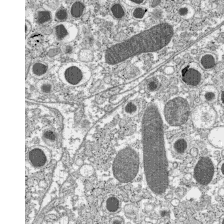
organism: C57BL Mouse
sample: Pancreatic islet